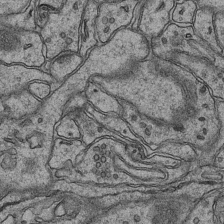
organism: Mouse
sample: CA1 Hippocampus